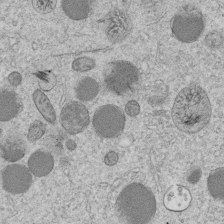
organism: C. elegans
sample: C. elegans embryo early stage